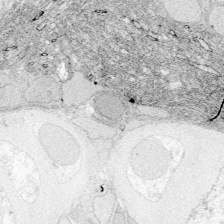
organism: Zebrafish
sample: Whole-Brain